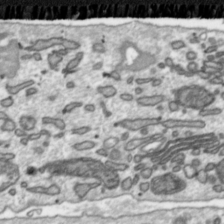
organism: Toxoplasma gondii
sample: Parasites in a vacuole inside a host cell